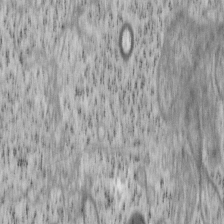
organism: Human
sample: HeLa cells